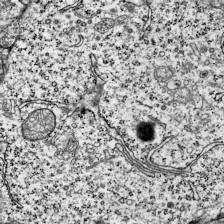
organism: Mouse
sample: Visual Cortex